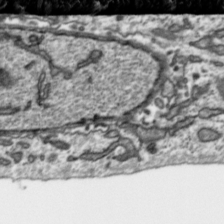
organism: Toxoplasma gondii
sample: Parasites in a vacuole inside a host cell